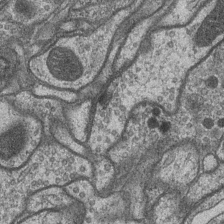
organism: Drosophila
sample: Optic medulla